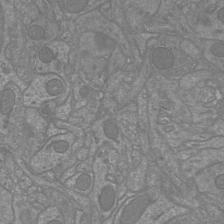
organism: Mouse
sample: Cortical neurons